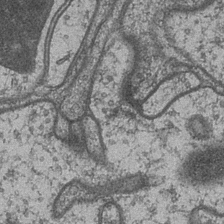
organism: Drosophila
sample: Optic medulla